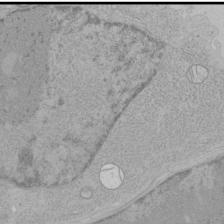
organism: Human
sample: Mitochondria in HCT116 cells